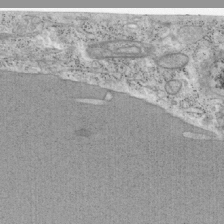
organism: Human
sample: HeLa cells